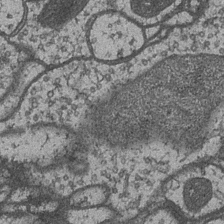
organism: Drosophila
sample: Optic medulla